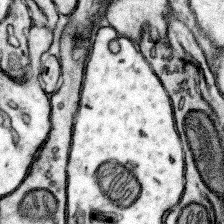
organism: Mouse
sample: Somatosensory cortex neuropil